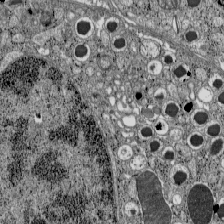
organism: C57BL Mouse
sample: Pancreatic islet